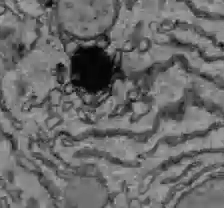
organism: C57BL Mouse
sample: Liver